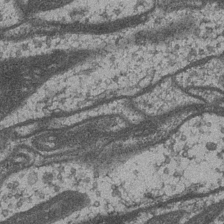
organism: Drosophila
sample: Optic medulla